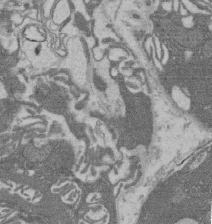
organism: Rat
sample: Salivary granule